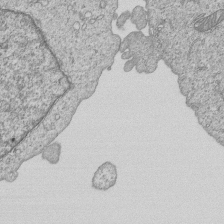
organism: Human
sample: MDA-MB-231 cells